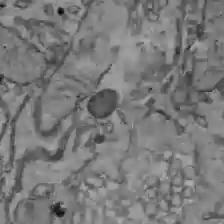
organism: C57BL Mouse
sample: Liver